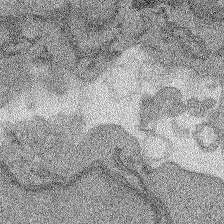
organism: Human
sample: HeLa cells